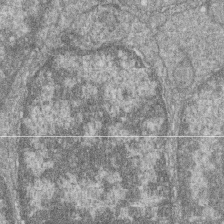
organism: Zebrafish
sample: Cilia; retinal pigment epithelium